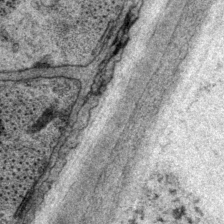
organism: P. pacificus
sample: Pharynx